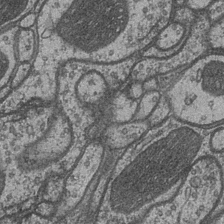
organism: Drosophila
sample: Optic medulla